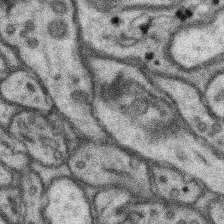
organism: Mouse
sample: Somatosensory cortex neuropil